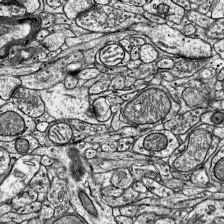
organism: Mouse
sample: Visual Cortex